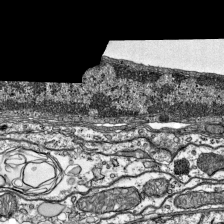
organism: Mouse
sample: Visual Cortex